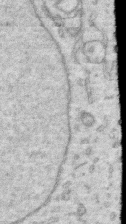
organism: Human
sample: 1205lu cells